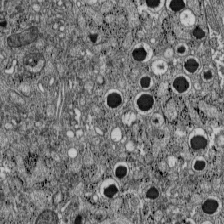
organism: C57BL Mouse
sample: Pancreatic islet